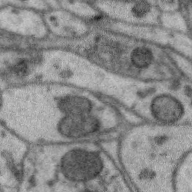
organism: Zebra finch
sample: Brain